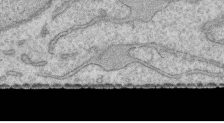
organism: Human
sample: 1205lu cells